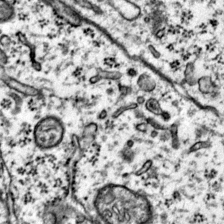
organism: Mouse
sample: Primary visual cortex